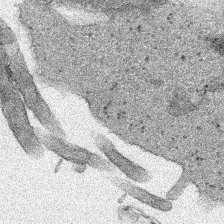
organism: Human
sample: Mitochondria in HCT116 cells